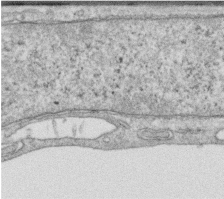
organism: Human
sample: Centriole in RPE cells